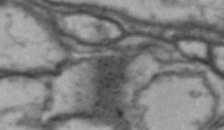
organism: Drosophila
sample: Brain